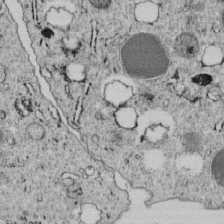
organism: C. elegans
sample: C. elegans embryo early stage